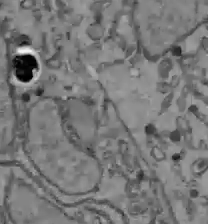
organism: C57BL Mouse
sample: Liver